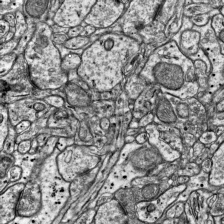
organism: Mouse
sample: Visual Cortex